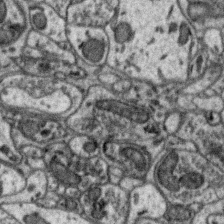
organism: Zebra finch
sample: Brain